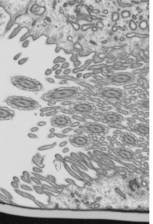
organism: Mouse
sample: Mouse epididymis efferent ductule cilia